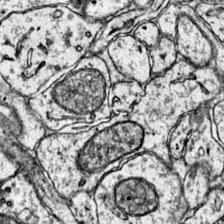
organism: Mouse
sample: Primary visual cortex